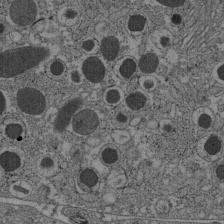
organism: C57BL Mouse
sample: Pancreatic islet